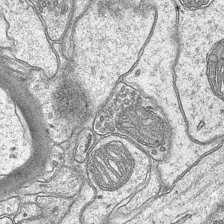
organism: Mouse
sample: CA1 Hippocampus